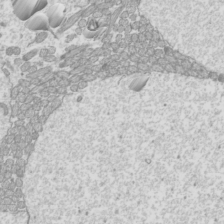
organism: Mouse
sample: Cilia; mouse epididymis